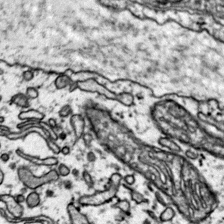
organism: Mouse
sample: Primary visual cortex